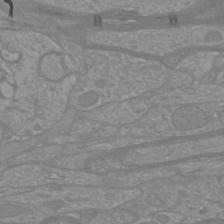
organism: Mouse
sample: Cortical neurons